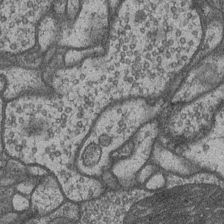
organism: Drosophila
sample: Optic medulla